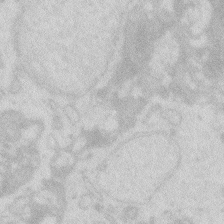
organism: Zebrafish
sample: Macrophage